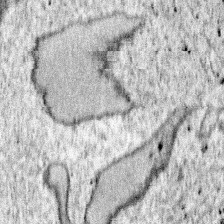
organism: Human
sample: HeLa cells